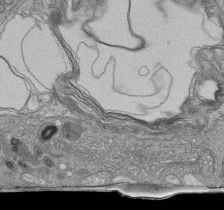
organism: Human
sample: Retinal organoid Rod and Cone cells